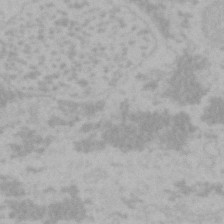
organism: Mouse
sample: Choroid plexus